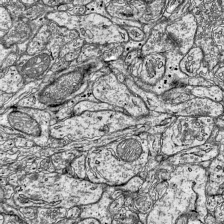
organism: Mouse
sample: Visual Cortex